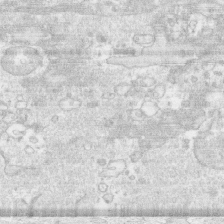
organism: Human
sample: CRL-1474